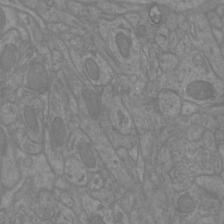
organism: Mouse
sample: Cortical neurons